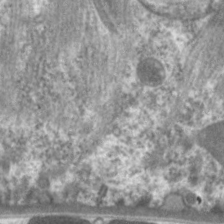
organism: C. elegans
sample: Pharynx